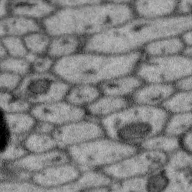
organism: Zebra finch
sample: Brain